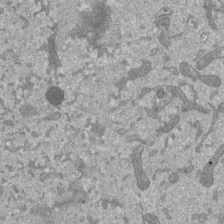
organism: Mouse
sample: ED-1 cell nuclei; centrioles